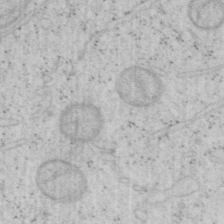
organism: Human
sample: HeLa cells